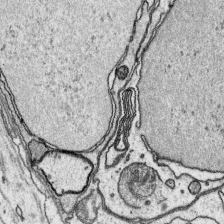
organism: Platynereis dumerilii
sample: Parapodia